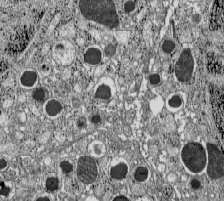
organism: C57BL Mouse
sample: Pancreatic islet